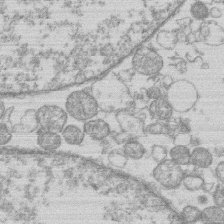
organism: Human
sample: Macrophage cells